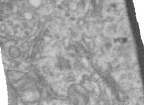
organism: Human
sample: Centriole in RPE cells